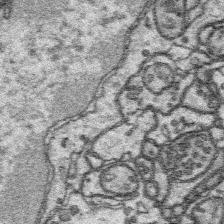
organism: Platynereis dumerilii